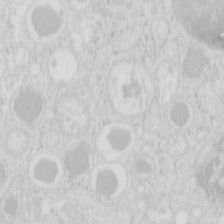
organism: Mouse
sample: Pancreas